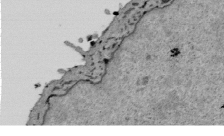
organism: Mouse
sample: ED-1 cell nuclei; centrioles